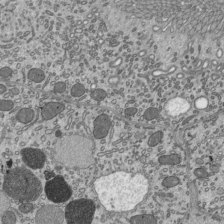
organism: Mouse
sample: Mouse epididymis efferent ductule cilia